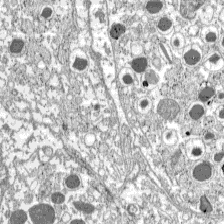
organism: C57BL Mouse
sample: Pancreatic islet